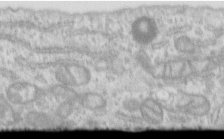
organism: Human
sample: Centriole in RPE cells